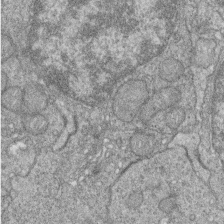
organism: Zebrafish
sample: Cilia; retinal pigment epithelium